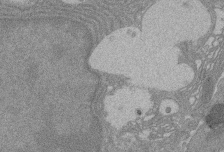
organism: Rat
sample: Salivary granule